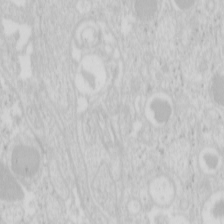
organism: Mouse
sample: Pancreas